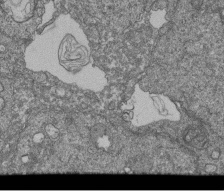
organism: Human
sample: Retinal organoid Rod and Cone cells